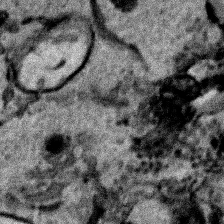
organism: Human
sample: Mitochondria in HCT116 cells